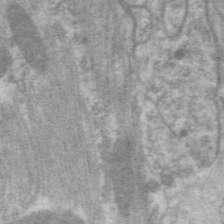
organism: C. elegans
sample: Pharynx